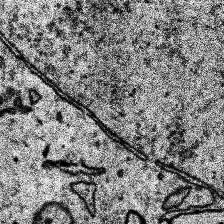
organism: Human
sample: Temporal Lobe